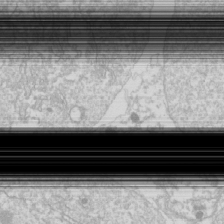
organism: Drosophila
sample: Cell division; meiosis; drosophila spermatocytes